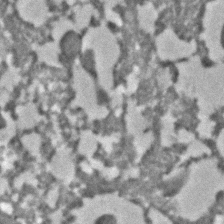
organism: C. elegans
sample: C. elegans embryo